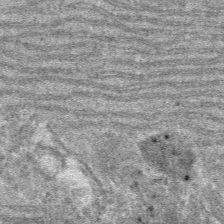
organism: Mouse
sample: Mouse hepatocytes